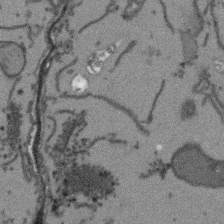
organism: Arabidopsis thaliana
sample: Root tip